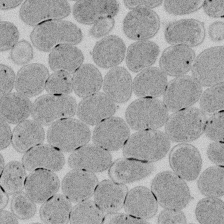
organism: E. coli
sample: Bacterial nucleoid